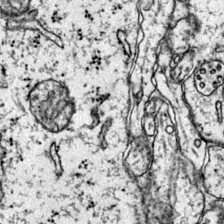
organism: Mouse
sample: Primary visual cortex